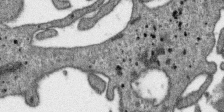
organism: Human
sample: Lung epithelial cells, uninfected (mock) control